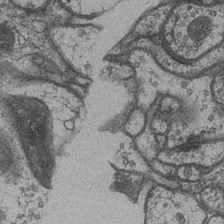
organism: Drosophila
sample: Optic medulla